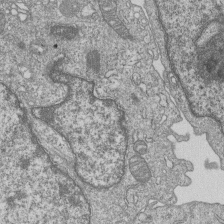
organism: Human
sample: MDA-MB-231 cells